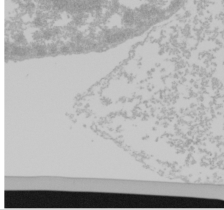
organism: Mouse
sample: Cancer cell death in ED-1 cells